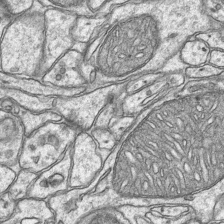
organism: Mouse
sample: CA1 Hippocampus